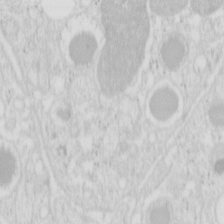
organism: Mouse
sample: Pancreas